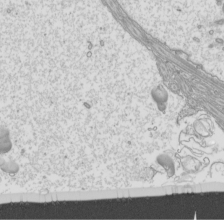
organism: Mouse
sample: Cilia; mouse epididymis